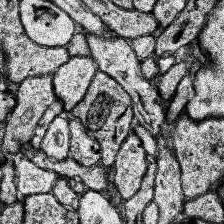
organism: Human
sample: Temporal Lobe